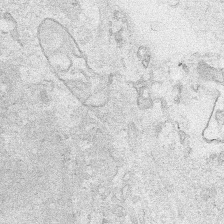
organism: Human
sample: Mitochondria in HCT116 cells